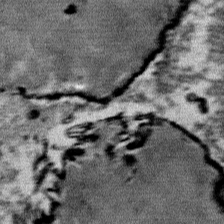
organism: Mouse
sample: Mouse Salivary gland